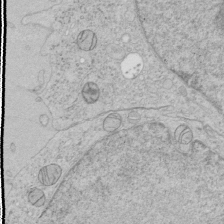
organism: Human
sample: Mitochondria in HCT116 cells